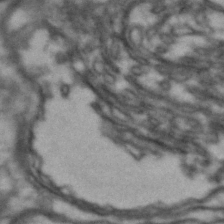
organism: Drosophila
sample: Brain